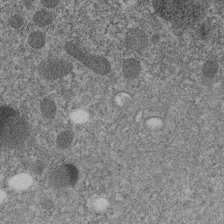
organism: C. elegans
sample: C. elegans embryo early stage